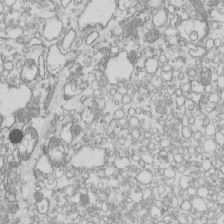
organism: Mouse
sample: Macrophages